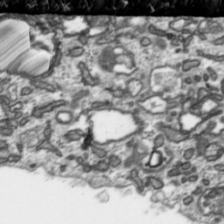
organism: Toxoplasma gondii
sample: Parasites in a vacuole inside a host cell